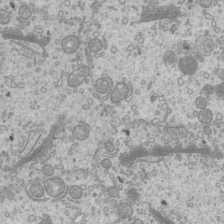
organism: Mouse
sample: Cilia; mouse epididymis